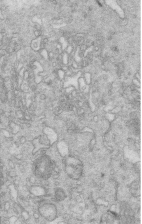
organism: Mouse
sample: Multiciliated cells